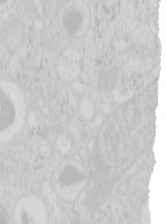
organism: Mouse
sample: Pancreas